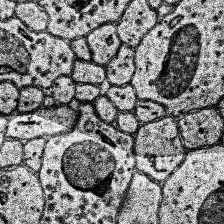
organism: Human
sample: Temporal Lobe